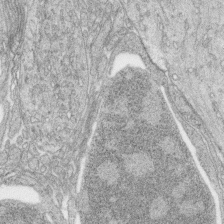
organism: Zebrafish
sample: synaptic ribbons in rod cells and cone cells